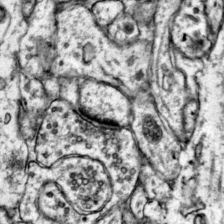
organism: Mouse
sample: Primary visual cortex